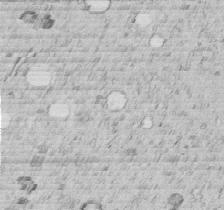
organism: C. elegans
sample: C. elegans embryo early stage